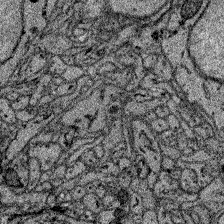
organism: Zebrafish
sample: Larval olfactory bulb